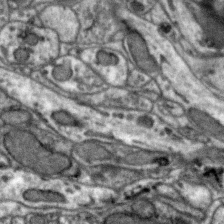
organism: Zebra finch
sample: Brain